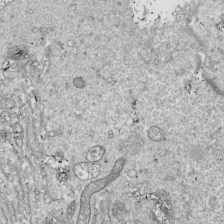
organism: Drosophila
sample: Cell division; meiosis; drosophila spermatocytes